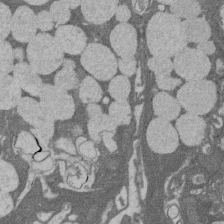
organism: Rat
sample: Salivary granule